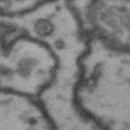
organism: Drosophila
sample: Brain